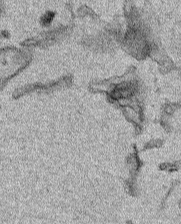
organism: Human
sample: Mitochondria in HCT116 cells